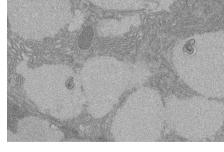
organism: Rat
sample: Salivary granule